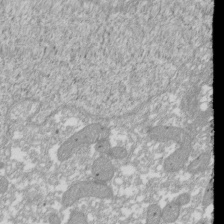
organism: Xenopus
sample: Cilia; centrioles in frog embryo cells